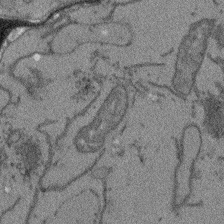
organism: Arabidopsis thaliana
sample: Root tip